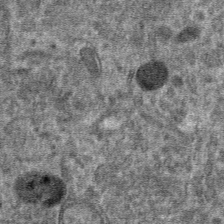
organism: Mouse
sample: Mouse hepatocytes